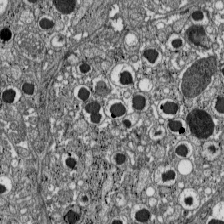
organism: C57BL Mouse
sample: Pancreatic islet